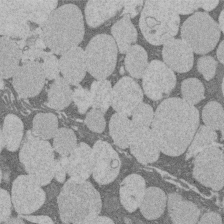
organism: Rat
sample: Salivary granule